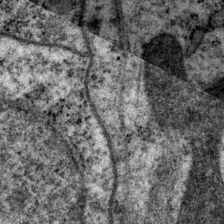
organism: P. pacificus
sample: Pharynx